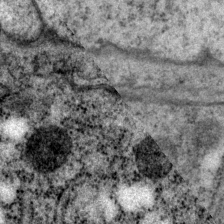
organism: P. pacificus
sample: Pharynx